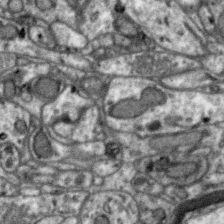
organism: Zebra finch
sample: Brain